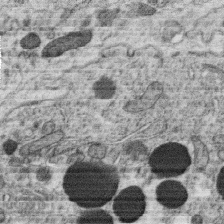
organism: C. elegans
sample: C. elegans oocyte; sperm cells